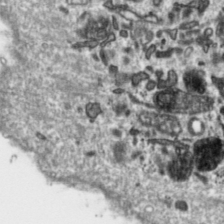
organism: Toxoplasma gondii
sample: Parasites in a vacuole inside a host cell